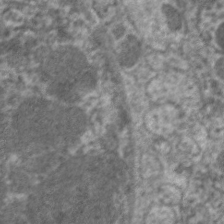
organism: C. elegans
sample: Pharynx